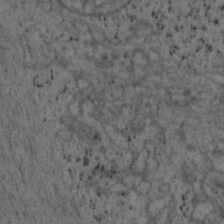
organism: Human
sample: HeLa cells